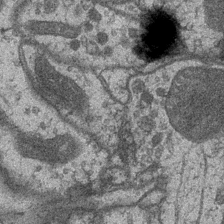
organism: Drosophila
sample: Optic medulla